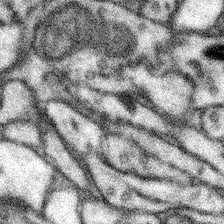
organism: Mouse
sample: Somatosensory cortex neuropil